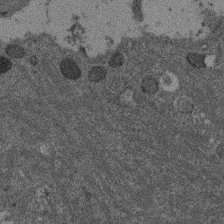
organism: Mouse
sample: Dividing mouse embryo 1 cell stage